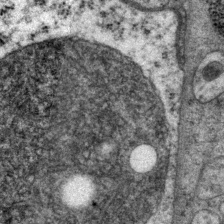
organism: P. pacificus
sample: Pharynx